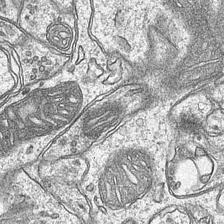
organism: Mouse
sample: CA1 Hippocampus